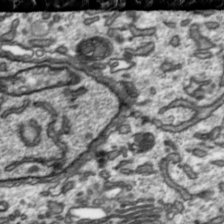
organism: Toxoplasma gondii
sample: Parasites in a vacuole inside a host cell